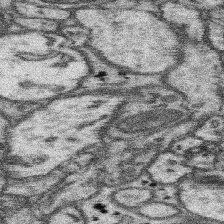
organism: Mouse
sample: Somatosensory cortex neuropil